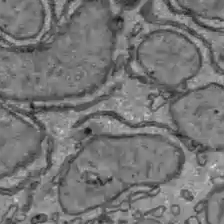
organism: C57BL Mouse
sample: Liver